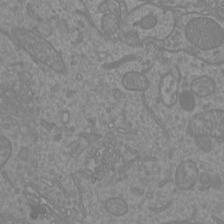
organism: Mouse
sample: Cortical neurons